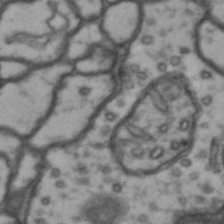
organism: Drosophila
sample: Brain